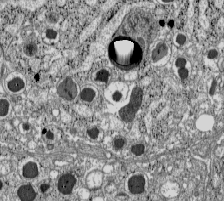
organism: C57BL Mouse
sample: Pancreatic islet